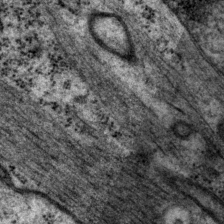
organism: P. pacificus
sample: Pharynx